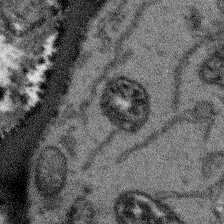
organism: Arabidopsis thaliana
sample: Root tip